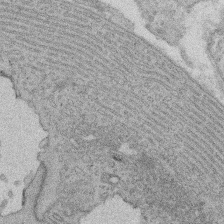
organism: Rat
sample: Salivary granule